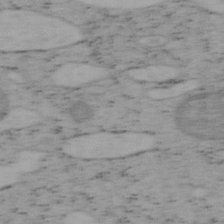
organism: Mouse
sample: OT-I killer T cells with ID8 ovarian cancer cells